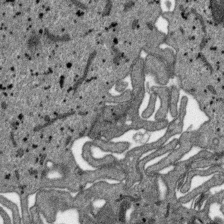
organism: Human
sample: Lung epithelial cells, uninfected (mock) control